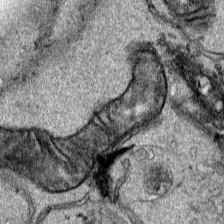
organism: Human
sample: Mitochondria in HCT116 cells